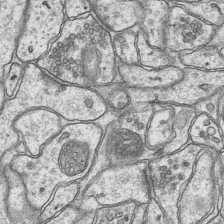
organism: Mouse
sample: CA1 Hippocampus